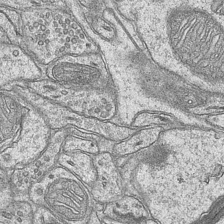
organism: Mouse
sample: CA1 Hippocampus